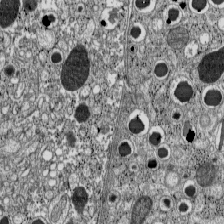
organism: C57BL Mouse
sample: Pancreatic islet